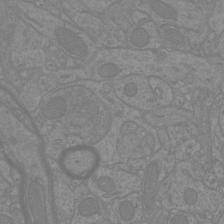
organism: Mouse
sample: Cortical neurons